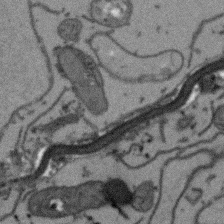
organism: Arabidopsis thaliana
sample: Root tip